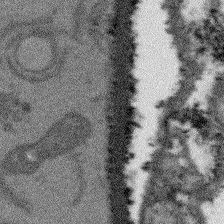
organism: Arabidopsis thaliana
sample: Root tip